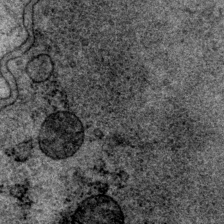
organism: P. pacificus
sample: Pharynx